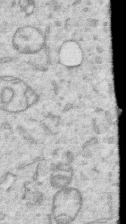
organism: Human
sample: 1205lu cells